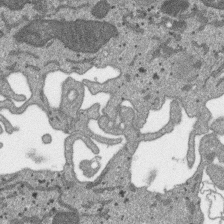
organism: Human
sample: Lung epithelial cells infected with SARS-CoV-2